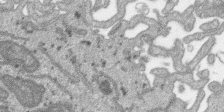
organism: Human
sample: Lung epithelial cells infected with SARS-CoV-2